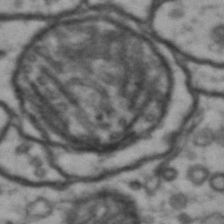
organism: Drosophila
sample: Brain